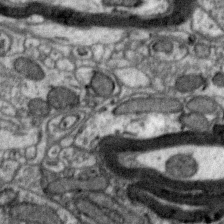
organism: Zebra finch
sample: Brain